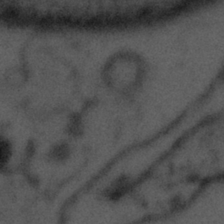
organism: Tuwongella immobilis